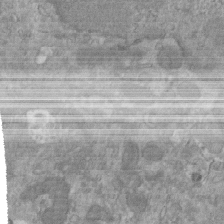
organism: Mouse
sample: ED-1 cell nuclei; centrioles